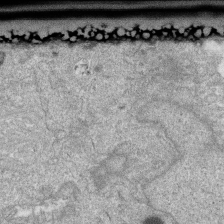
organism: Human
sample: HeLa cell HIV synapse